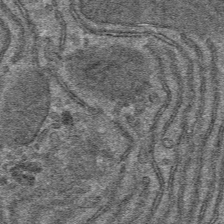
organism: Mouse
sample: Mouse hepatocytes